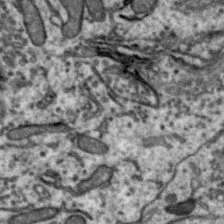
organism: Zebra finch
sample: Brain